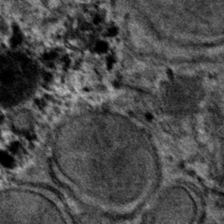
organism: Mouse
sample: Mouse hepatocytes